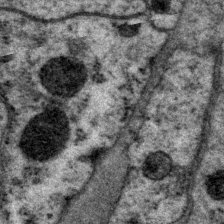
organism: P. pacificus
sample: Pharynx